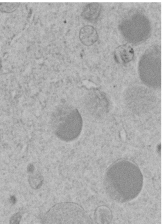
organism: C. elegans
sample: C. elegans embryo early stage